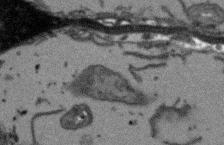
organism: Arabidopsis thaliana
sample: Root tip